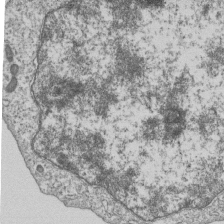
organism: Human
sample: MDA-MB-231 cells